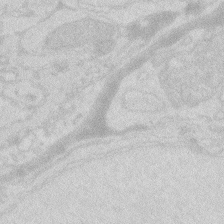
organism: Zebrafish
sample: Macrophage